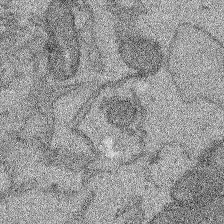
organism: Human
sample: HeLa cells